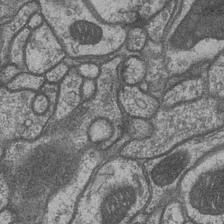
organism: Drosophila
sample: Optic medulla